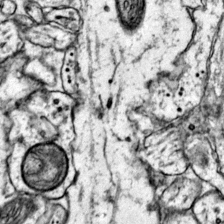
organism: Mouse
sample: Primary visual cortex